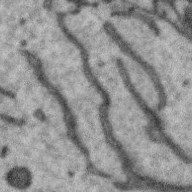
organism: Zebra finch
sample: Brain